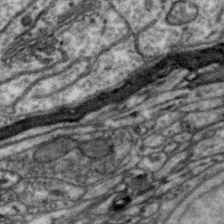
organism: Zebra finch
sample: Brain